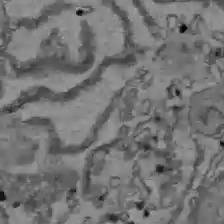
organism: C57BL Mouse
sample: Liver